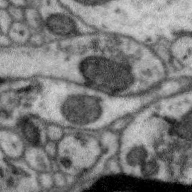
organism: Zebra finch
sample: Brain